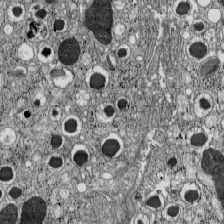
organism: C57BL Mouse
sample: Pancreatic islet